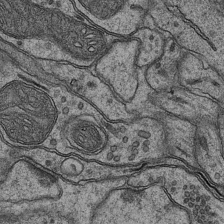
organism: Mouse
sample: CA1 Hippocampus